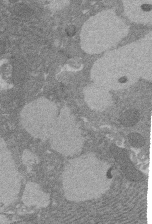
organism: Rat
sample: Salivary granule